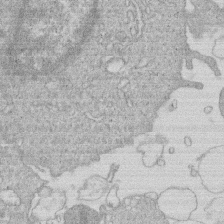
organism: Human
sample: Macrophage cells